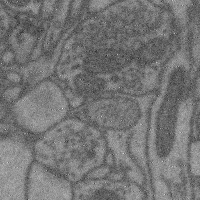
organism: Mouse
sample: Cerebral cortex